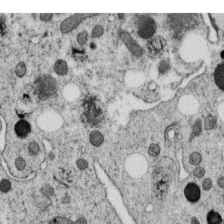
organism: C. elegans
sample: C. elegans oocyte; sperm cells